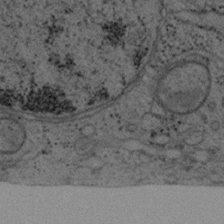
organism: Human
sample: HeLa cells